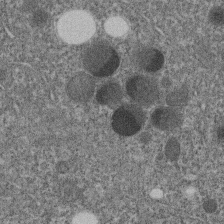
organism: C. elegans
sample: C. elegans embryo early stage